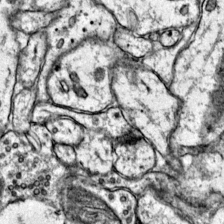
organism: Mouse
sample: Primary visual cortex